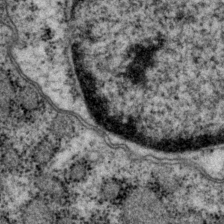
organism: P. pacificus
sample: Pharynx